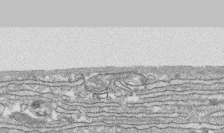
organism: Human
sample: CRL-1474